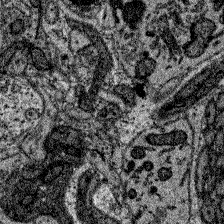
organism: Zebrafish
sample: Larval olfactory bulb